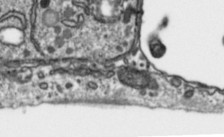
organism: Toxoplasma gondii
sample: Parasites in a vacuole inside a host cell